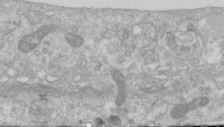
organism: Human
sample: Centriole in RPE cells